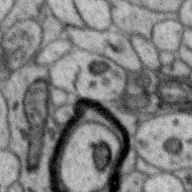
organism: Zebra finch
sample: Brain